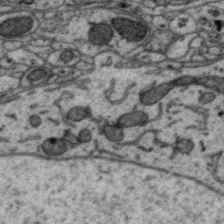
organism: Zebra finch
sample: Brain